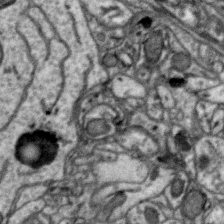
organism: Zebra finch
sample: Brain